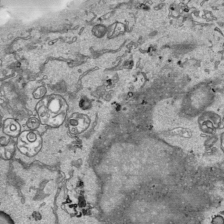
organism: Human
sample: Mitochondria in HCT116 cells